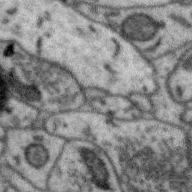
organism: Zebra finch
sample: Brain